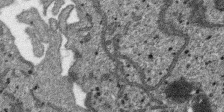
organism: Human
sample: Lung epithelial cells infected with SARS-CoV-2